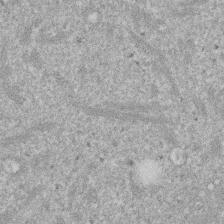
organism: Mouse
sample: Dividing mouse embryo 1 cell stage